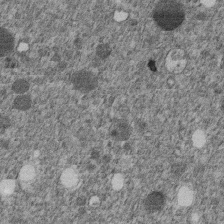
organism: C. elegans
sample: C. elegans embryo early stage